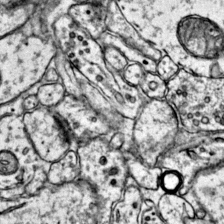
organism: Mouse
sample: Primary visual cortex